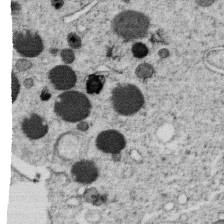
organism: C. elegans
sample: C. elegans oocyte; sperm cells